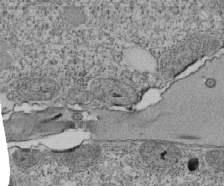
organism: Tetrahymena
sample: Cilia in tetrahymena